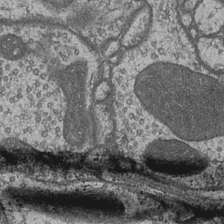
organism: Drosophila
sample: Optic medulla